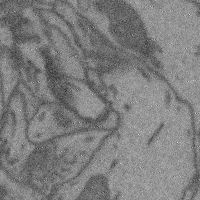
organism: Mouse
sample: Cerebral cortex